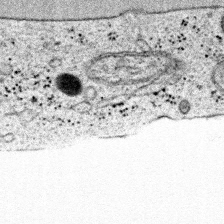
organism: Human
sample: HeLa cells